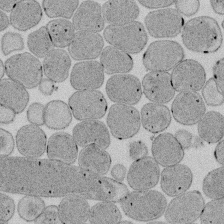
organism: E. coli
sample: Bacterial nucleoid